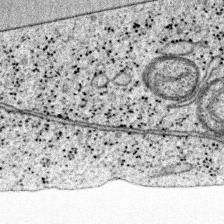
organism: Human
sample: HeLa cells